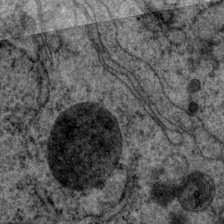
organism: P. pacificus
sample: Pharynx